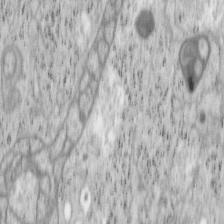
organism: Human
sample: HeLa cells